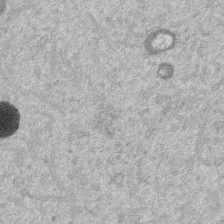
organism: Mouse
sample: Dividing mouse embryo 1 cell stage